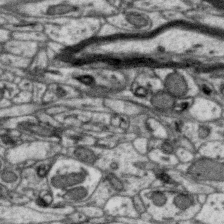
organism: Zebra finch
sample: Brain